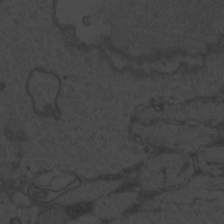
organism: Zebrafish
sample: Macrophage infected with Toxoplasma gondii